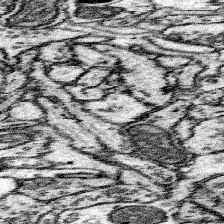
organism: Mouse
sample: Somatosensory cortex neuropil